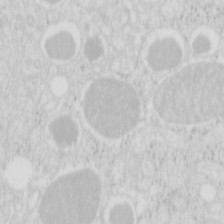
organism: Mouse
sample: Pancreas